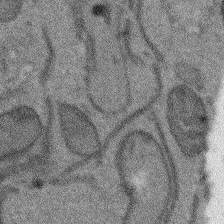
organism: Arabidopsis thaliana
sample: Root tip